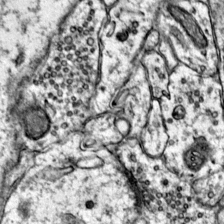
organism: Mouse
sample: Primary visual cortex